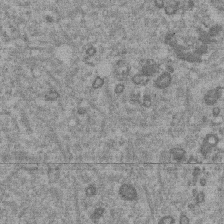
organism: Mouse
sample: Dividing mouse embryo 1 cell stage